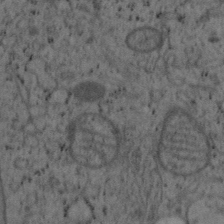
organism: Human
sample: HeLa cells